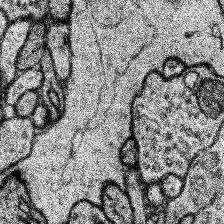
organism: Human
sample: Temporal Lobe